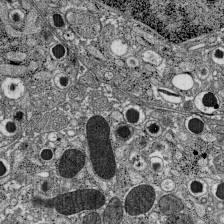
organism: C57BL Mouse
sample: Pancreatic islet